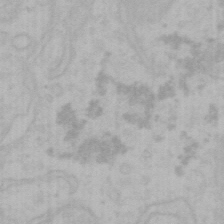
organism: Mouse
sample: Choroid plexus